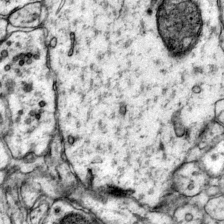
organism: Mouse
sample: Primary visual cortex